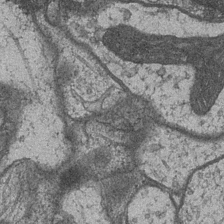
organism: Drosophila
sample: Optic medulla